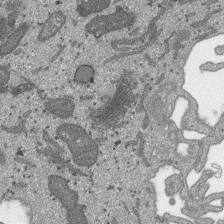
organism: Human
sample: Lung epithelial cells infected with SARS-CoV-2